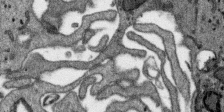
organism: Human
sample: Lung epithelial cells, uninfected (mock) control